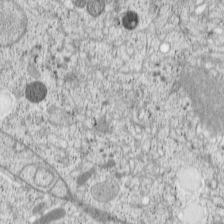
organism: African green monkey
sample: COS-7 cells